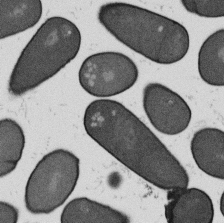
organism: B. subtilis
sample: Bacterial spore